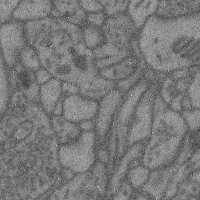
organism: Mouse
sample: Cerebral cortex